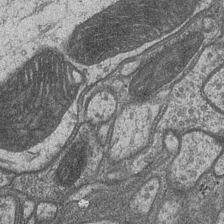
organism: Drosophila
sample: Optic medulla